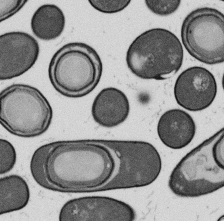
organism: B. subtilis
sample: Bacterial spore